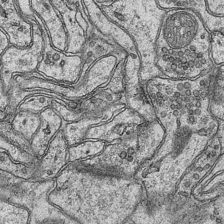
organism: Mouse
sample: CA1 Hippocampus